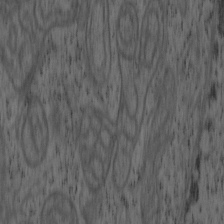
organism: Human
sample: HeLa cells